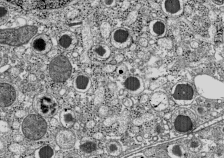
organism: C57BL Mouse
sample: Pancreatic islet